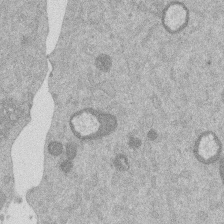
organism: Mouse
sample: Dividing mouse embryo 1 cell stage